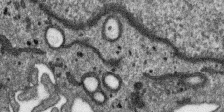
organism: Human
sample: Lung epithelial cells infected with SARS-CoV-2